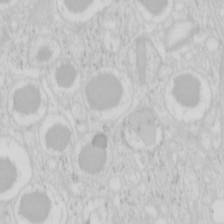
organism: Mouse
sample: Pancreas